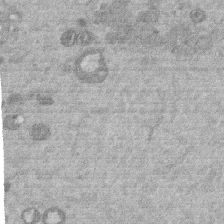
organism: Mouse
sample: Dividing mouse embryo 1 cell stage